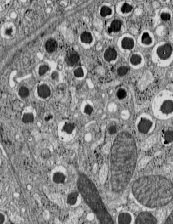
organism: C57BL Mouse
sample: Pancreatic islet